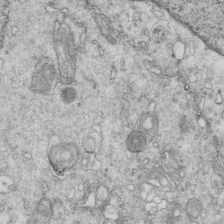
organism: Mouse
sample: Multiciliated cells